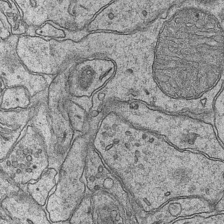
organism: Mouse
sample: CA1 Hippocampus